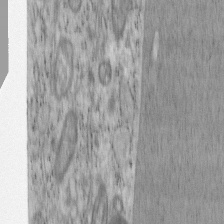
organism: Human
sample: HeLa cells